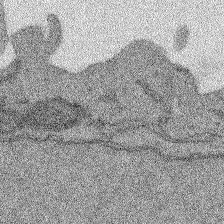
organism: Human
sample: HeLa cells